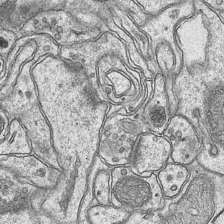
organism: Mouse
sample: CA1 Hippocampus